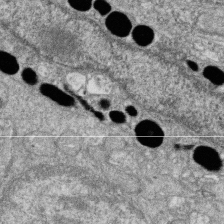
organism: Zebrafish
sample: Cilia; retinal pigment epithelium